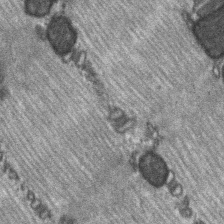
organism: C57BL Mouse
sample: Soleus